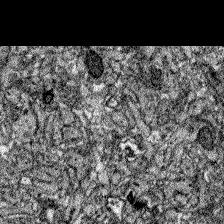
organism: Zebrafish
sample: Larval olfactory bulb